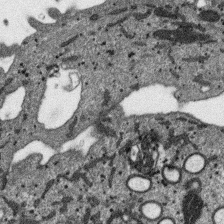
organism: Human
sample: Lung epithelial cells infected with SARS-CoV-2